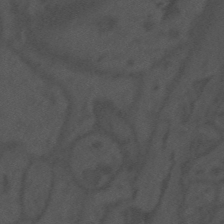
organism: Mouse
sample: Suprachiasmatic nucleus